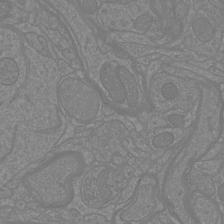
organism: Mouse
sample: Cortical neurons